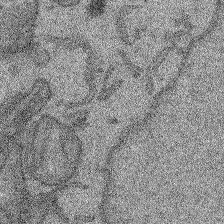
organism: Human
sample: HeLa cells